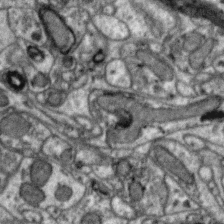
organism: Zebra finch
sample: Brain